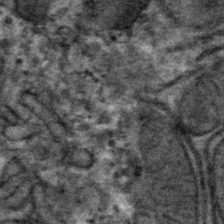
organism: Mouse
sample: Mouse hepatocytes